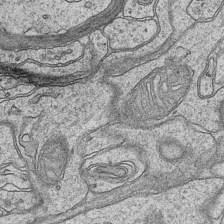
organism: Mouse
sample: CA1 Hippocampus